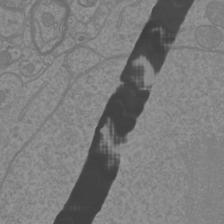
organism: Mouse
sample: Cortical neurons